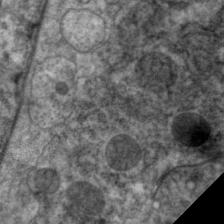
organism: C. elegans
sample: Pharynx